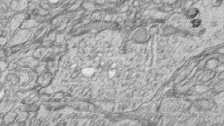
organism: Zebrafish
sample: synaptic ribbons in rod cells and cone cells